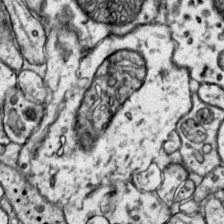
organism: Mouse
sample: Primary visual cortex